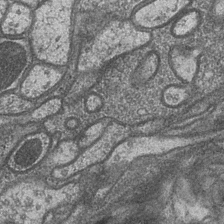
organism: Drosophila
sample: Optic medulla